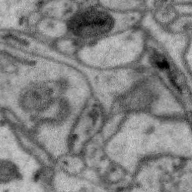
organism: Zebra finch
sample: Brain